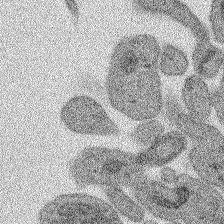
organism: Human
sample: HeLa cells